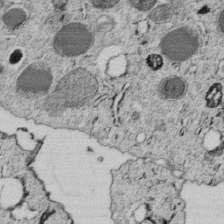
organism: C. elegans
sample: C. elegans embryo early stage